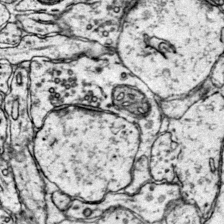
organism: Mouse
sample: Primary visual cortex